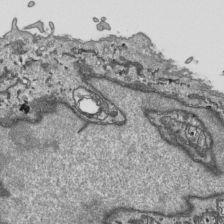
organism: Human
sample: Mitochondria in HCT116 cells